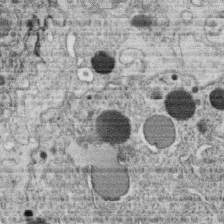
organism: C. elegans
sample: C. elegans oocyte; sperm cells